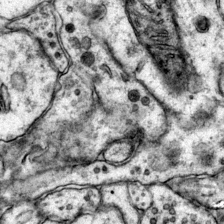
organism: Mouse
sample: Primary visual cortex